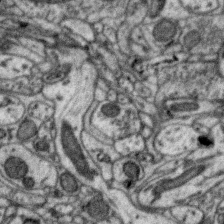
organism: Zebra finch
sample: Brain